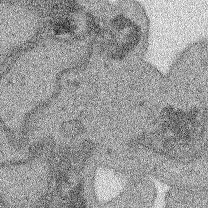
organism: Human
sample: HeLa cells